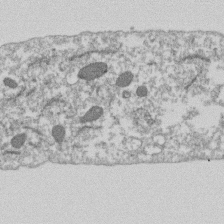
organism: Dictyostelium discoideum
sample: Dictyostelium multivesicular bodies